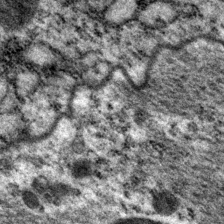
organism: P. pacificus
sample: Pharynx